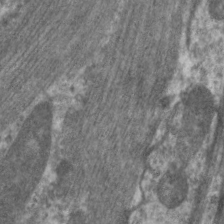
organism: C. elegans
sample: Pharynx